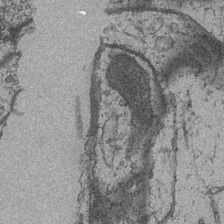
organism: Drosophila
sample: Optic medulla